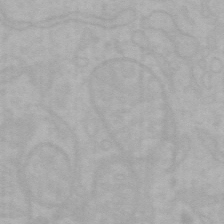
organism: Mouse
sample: Choroid plexus